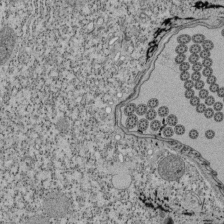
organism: Tetrahymena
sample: Cilia in tetrahymena